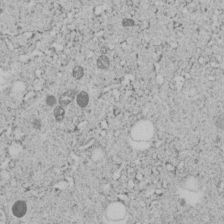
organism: C. elegans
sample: C. elegans embryo early stage